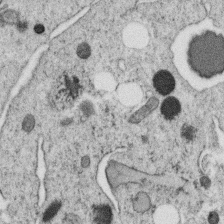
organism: C. elegans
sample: C. elegans oocyte; sperm cells